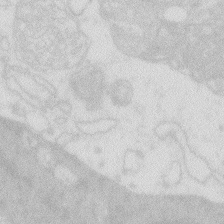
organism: Zebrafish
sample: Macrophage